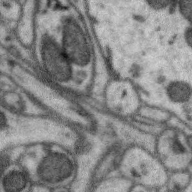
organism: Zebra finch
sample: Brain